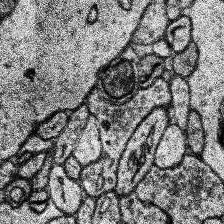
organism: Human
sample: Temporal Lobe